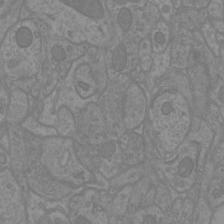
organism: Mouse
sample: Cortical neurons